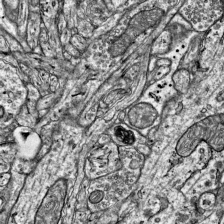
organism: Mouse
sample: Visual Cortex